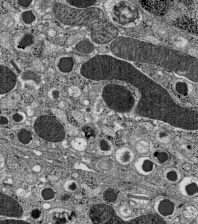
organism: C57BL Mouse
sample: Pancreatic islet